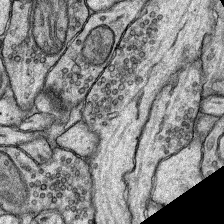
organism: Rat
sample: Hippocampus